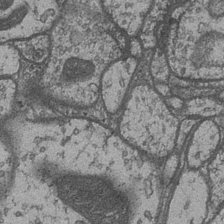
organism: Drosophila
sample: Optic medulla